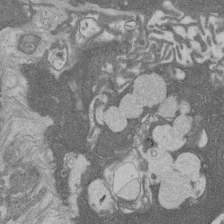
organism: Rat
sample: Salivary granule